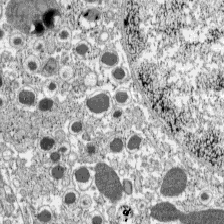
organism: C57BL Mouse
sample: Pancreatic islet